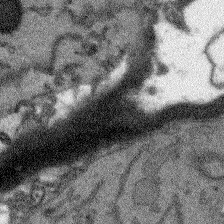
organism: Arabidopsis thaliana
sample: Root tip